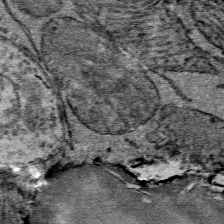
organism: Mouse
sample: Mouse Salivary gland